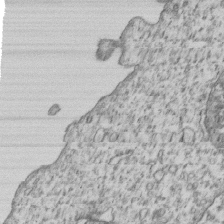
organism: Human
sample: MDA-MB-231 cells